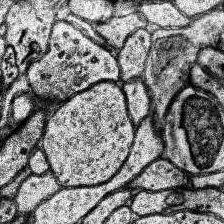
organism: Human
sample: Temporal Lobe